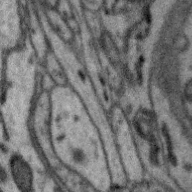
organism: Zebra finch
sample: Brain